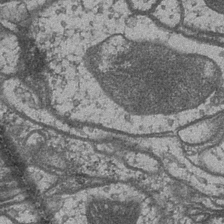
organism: Drosophila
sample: Optic medulla